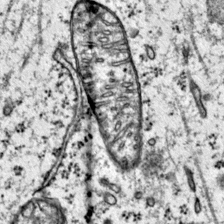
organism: Mouse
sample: Primary visual cortex